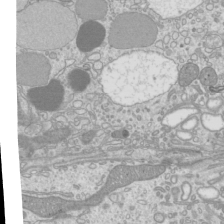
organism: Mouse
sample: Cilia; mouse epididymis